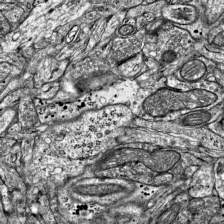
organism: Mouse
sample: Visual Cortex